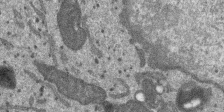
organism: Human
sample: Lung epithelial cells infected with SARS-CoV-2